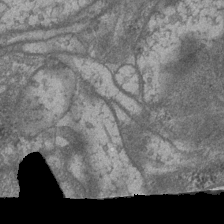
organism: Drosophila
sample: Optic medulla